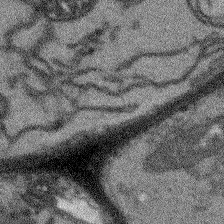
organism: Arabidopsis thaliana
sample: Root tip